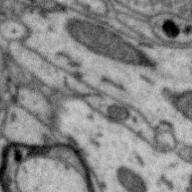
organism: Zebra finch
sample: Brain